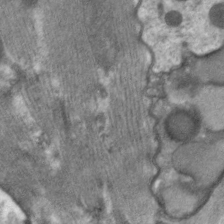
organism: C. elegans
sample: Pharynx